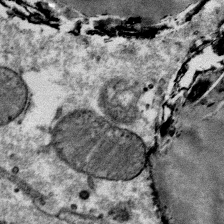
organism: Mouse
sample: Mouse Salivary gland